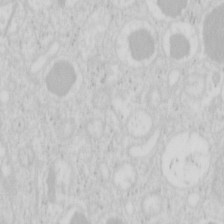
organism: Mouse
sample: Pancreas